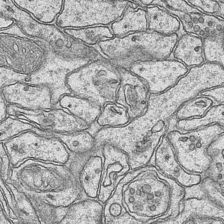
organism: Mouse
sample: CA1 Hippocampus